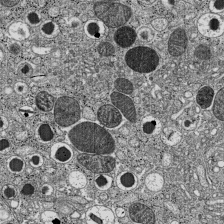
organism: C57BL Mouse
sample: Pancreatic islet